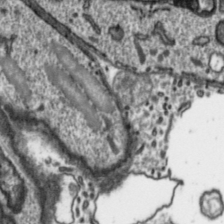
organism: Toxoplasma gondii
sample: Parasites in a vacuole inside a host cell